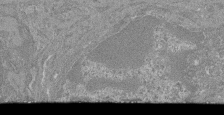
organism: Mouse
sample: Glomerulus